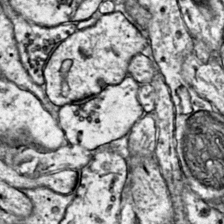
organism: Mouse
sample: Primary visual cortex